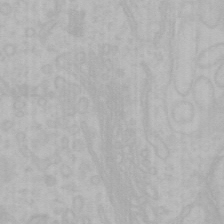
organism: Mouse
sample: Choroid plexus